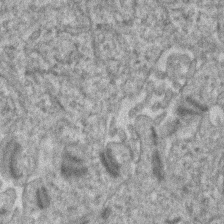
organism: Human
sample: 1205lu cells